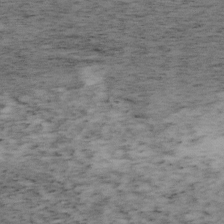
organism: Mouse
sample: OT-I killer T cells with ID8 ovarian cancer cells